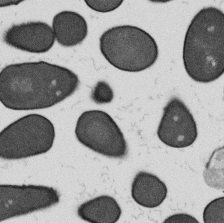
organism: B. subtilis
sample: Bacterial spore